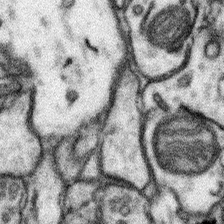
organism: Mouse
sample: Somatosensory cortex neuropil